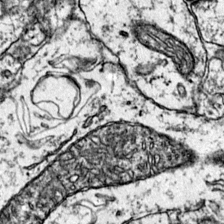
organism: Mouse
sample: Primary visual cortex